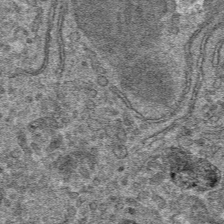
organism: Mouse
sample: Mouse hepatocytes